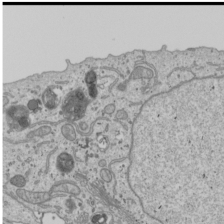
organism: Human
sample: Mitochondria in U2OS cells